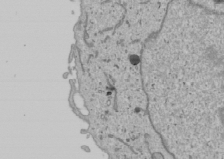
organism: Human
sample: Mitochondria in U2OS cells